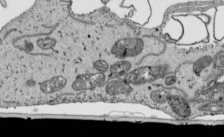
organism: Human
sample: Mitochondria in HCT116 cells